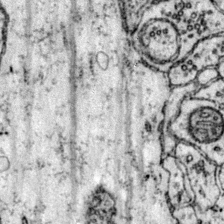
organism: Mouse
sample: Primary visual cortex